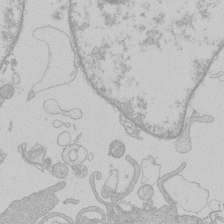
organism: Human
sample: Macrophage cells